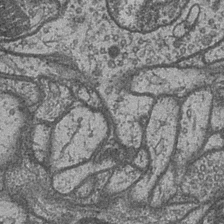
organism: Drosophila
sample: Optic medulla